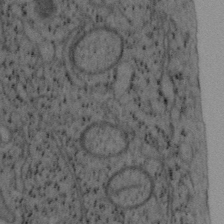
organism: Human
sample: HeLa cells